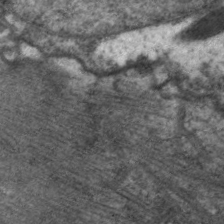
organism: C. elegans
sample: Pharynx